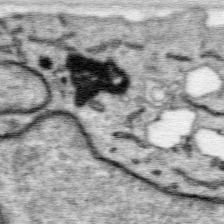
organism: Human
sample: HeLa cells